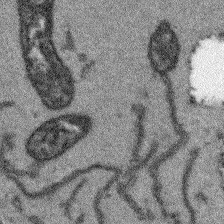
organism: Arabidopsis thaliana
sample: Root tip